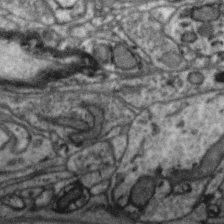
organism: Zebra finch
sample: Brain